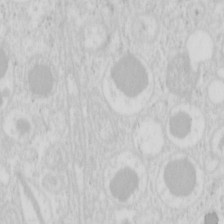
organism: Mouse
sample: Pancreas